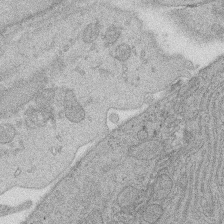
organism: Rat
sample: Salivary granule